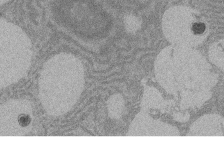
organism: Rat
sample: Salivary granule